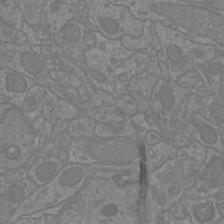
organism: Mouse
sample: Cortical neurons